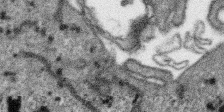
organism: Human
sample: Lung epithelial cells infected with SARS-CoV-2